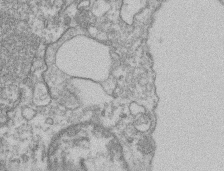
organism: Mouse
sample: T cell stromal cell synapse